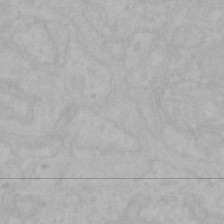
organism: Mouse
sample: Choroid plexus